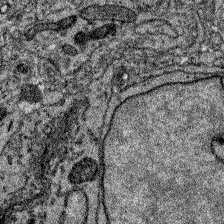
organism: Zebrafish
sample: Larval olfactory bulb